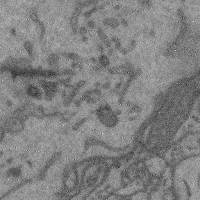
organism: Mouse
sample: Cerebral cortex